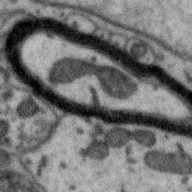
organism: Zebra finch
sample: Brain